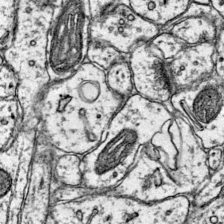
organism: Mouse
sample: Primary visual cortex